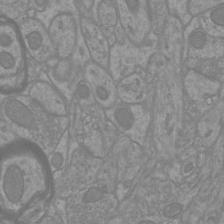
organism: Mouse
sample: Cortical neurons